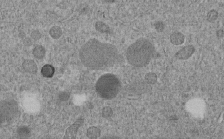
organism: C. elegans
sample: C. elegans embryo early stage